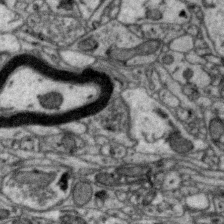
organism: Zebra finch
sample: Brain